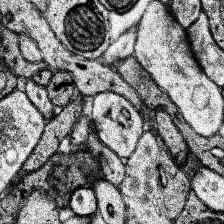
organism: Human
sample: Temporal Lobe